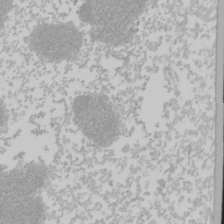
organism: Mouse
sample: Cancer cell death in ED-1 cells